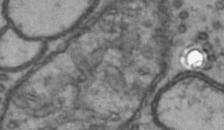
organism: Drosophila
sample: Brain